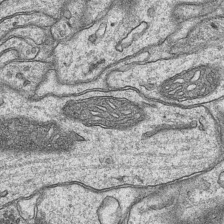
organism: Mouse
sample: CA1 Hippocampus